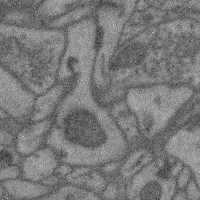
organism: Mouse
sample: Cerebral cortex